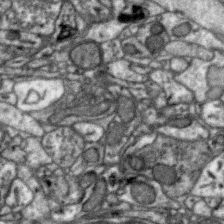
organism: Zebra finch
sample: Brain